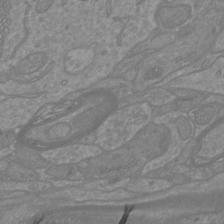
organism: Mouse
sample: Cortical neurons